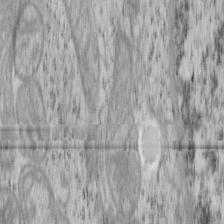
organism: Human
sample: HeLa cells